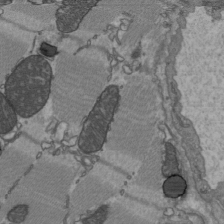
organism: C57BL Mouse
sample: Heart